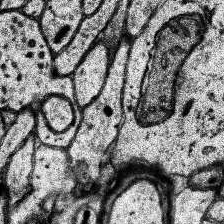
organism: Human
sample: Temporal Lobe